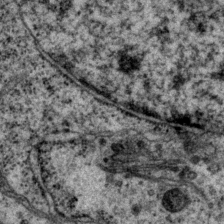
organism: P. pacificus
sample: Pharynx